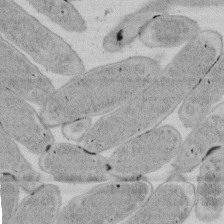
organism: E. coli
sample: Bacterial nucleoid